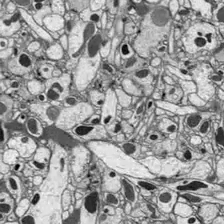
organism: Drosophila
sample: Optic lobe